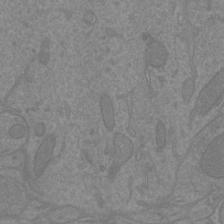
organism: Mouse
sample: Cortical neurons